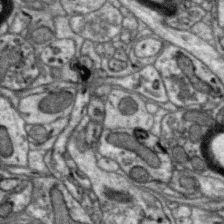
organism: Zebra finch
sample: Brain